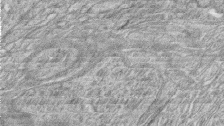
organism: Zebrafish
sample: synaptic ribbons in rod cells and cone cells